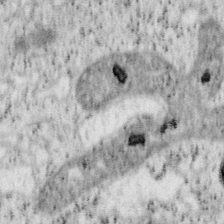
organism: Mouse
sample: OT-I killer T cells with ID8 ovarian cancer cells